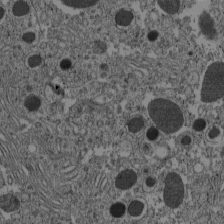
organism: C57BL Mouse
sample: Pancreatic islet